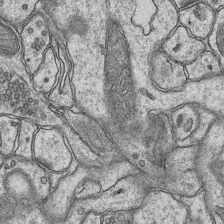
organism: Mouse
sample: CA1 Hippocampus